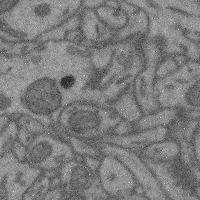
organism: Mouse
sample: Cerebral cortex